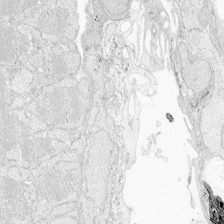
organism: Zebrafish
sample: Whole-Brain